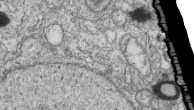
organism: Human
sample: HeLa cell HIV synapse